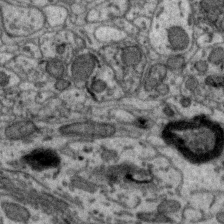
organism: Zebra finch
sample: Brain